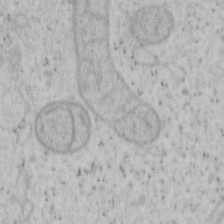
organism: Human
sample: HeLa cells